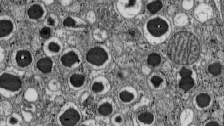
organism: C57BL Mouse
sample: Pancreatic islet